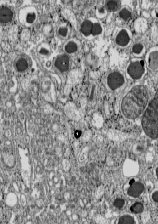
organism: C57BL Mouse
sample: Pancreatic islet